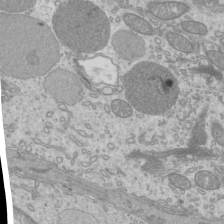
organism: Mouse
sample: Cilia; mouse epididymis